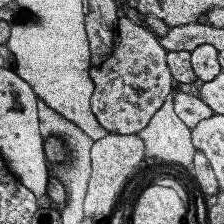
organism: Human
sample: Temporal Lobe